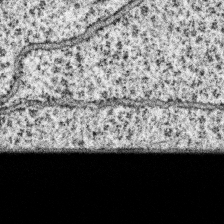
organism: Human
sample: HeLa cells